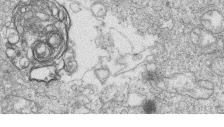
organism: Human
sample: HeLa cell HIV synapse